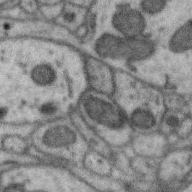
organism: Zebra finch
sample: Brain